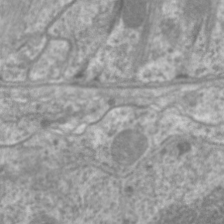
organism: C. elegans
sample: Pharynx